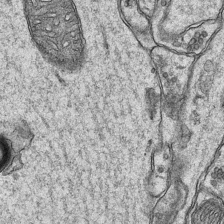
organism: Mouse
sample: CA1 Hippocampus